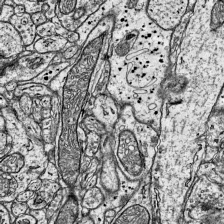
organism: Mouse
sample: Visual Cortex